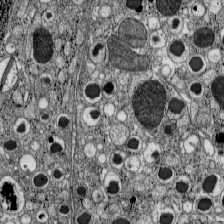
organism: C57BL Mouse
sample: Pancreatic islet